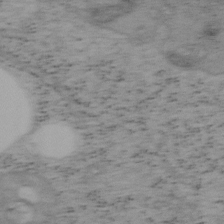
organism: Mouse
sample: OT-I killer T cells with ID8 ovarian cancer cells